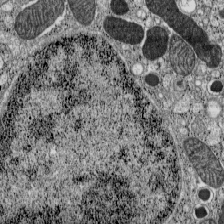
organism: C57BL Mouse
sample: Pancreatic islet